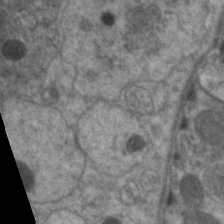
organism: C. elegans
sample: Pharynx